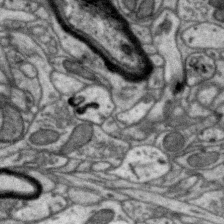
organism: Zebra finch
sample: Brain